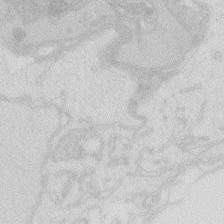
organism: Zebrafish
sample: Macrophage